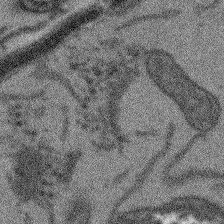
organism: Arabidopsis thaliana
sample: Root tip